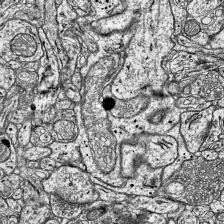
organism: Mouse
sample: Visual Cortex